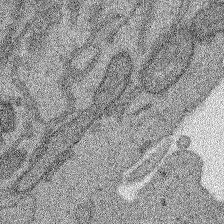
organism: Human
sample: HeLa cells